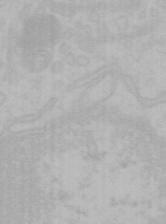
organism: Mouse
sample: Choroid plexus